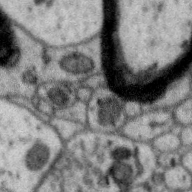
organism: Zebra finch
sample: Brain